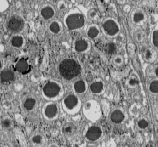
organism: C57BL Mouse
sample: Pancreatic islet